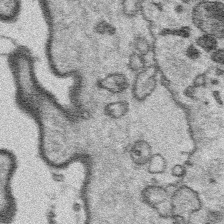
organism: Platynereis dumerilii